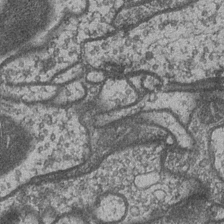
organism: Drosophila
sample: Optic medulla